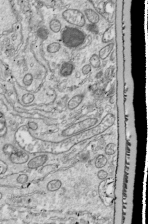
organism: Drosophila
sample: Cell division; meiosis; drosophila spermatocytes